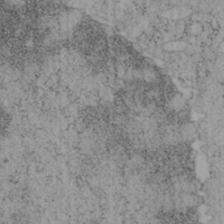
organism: Mouse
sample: OT-I killer T cells with ID8 ovarian cancer cells